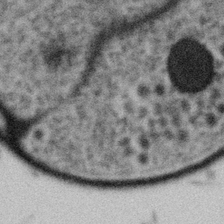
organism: Gemmata obscuriglobus